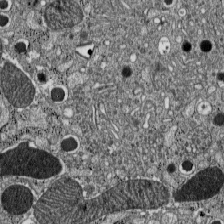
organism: C57BL Mouse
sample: Pancreatic islet